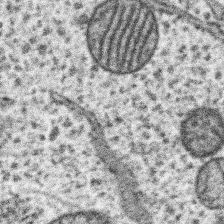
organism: Human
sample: HeLa cells